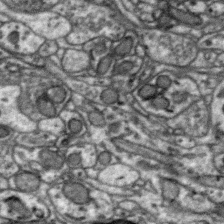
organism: Zebra finch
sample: Brain